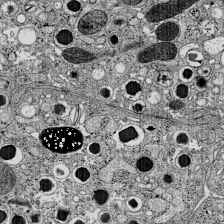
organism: C57BL Mouse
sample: Pancreatic islet